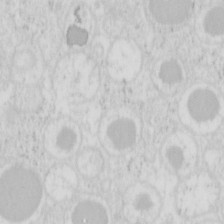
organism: Mouse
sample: Pancreas